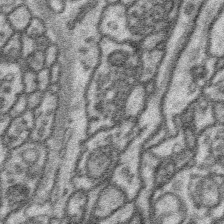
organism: Platynereis dumerilii